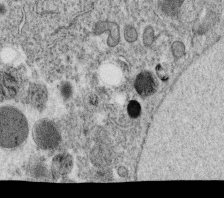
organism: C. elegans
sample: C. elegans oocyte; sperm cells